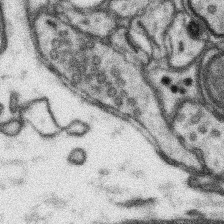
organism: Mouse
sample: Somatosensory cortex neuropil